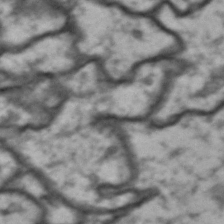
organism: Drosophila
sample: Brain